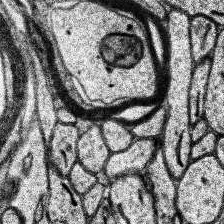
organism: Human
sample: Temporal Lobe